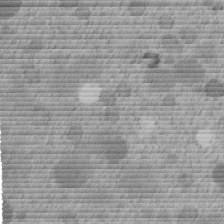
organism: C. elegans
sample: C. elegans embryo early stage